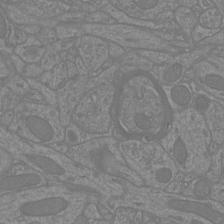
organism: Mouse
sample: Cortical neurons